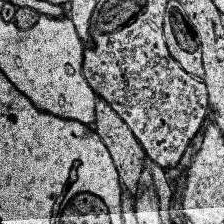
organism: Human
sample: Temporal Lobe